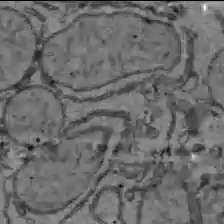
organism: C57BL Mouse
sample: Liver